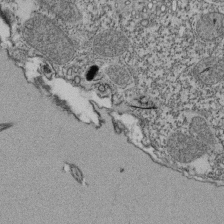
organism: Tetrahymena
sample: Cilia in tetrahymena